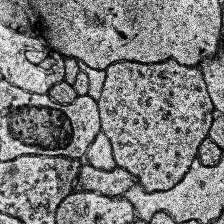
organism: Human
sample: Temporal Lobe